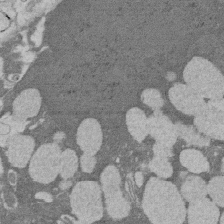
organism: Rat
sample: Salivary granule